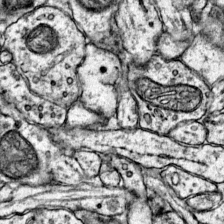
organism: Mouse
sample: Primary visual cortex